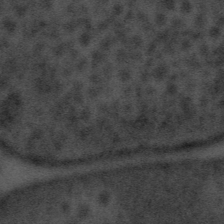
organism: Tuwongella immobilis